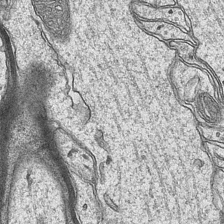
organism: Mouse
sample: CA1 Hippocampus